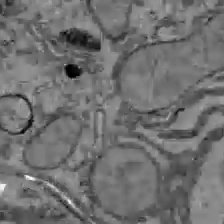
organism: C57BL Mouse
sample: Liver